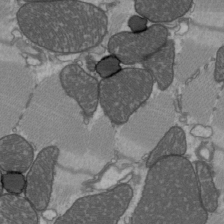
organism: C57BL Mouse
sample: Heart